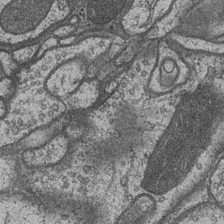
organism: Drosophila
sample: Optic medulla